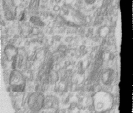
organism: Human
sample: Centriole in RPE cells